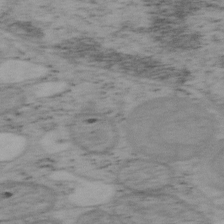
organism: Mouse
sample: OT-I killer T cells with ID8 ovarian cancer cells